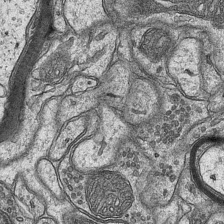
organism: Mouse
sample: CA1 Hippocampus